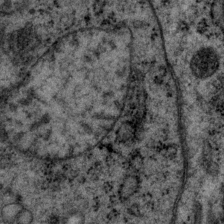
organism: P. pacificus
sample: Pharynx